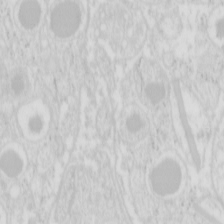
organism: Mouse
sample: Pancreas